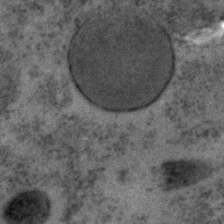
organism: C. elegans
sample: C. elegans embryo